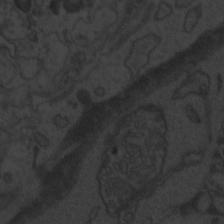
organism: Zebrafish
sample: Macrophage infected with Toxoplasma gondii